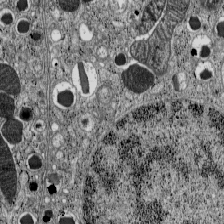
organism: C57BL Mouse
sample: Pancreatic islet